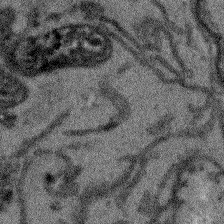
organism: Arabidopsis thaliana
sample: Root tip